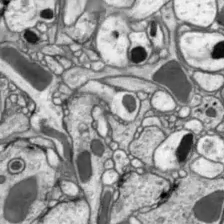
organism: Drosophila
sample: Optic lobe